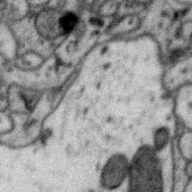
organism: Zebra finch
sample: Brain